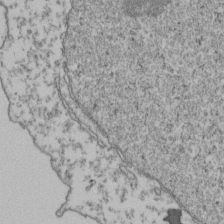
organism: Human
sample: Activated Jurkat CD4+ T cells